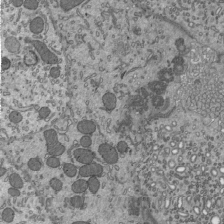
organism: Mouse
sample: Mouse epididymis efferent ductule cilia